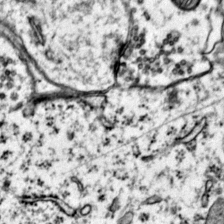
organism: Mouse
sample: Primary visual cortex